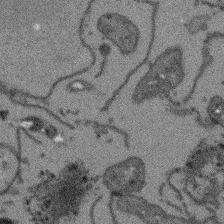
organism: Arabidopsis thaliana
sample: Root tip